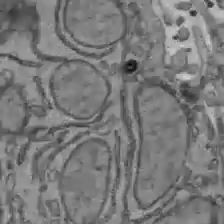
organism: C57BL Mouse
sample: Liver